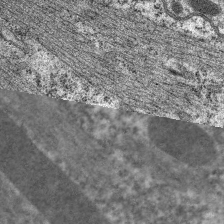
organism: C. elegans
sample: Pharynx